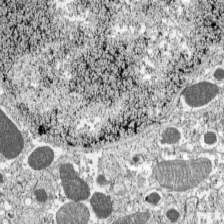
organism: C57BL Mouse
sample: Pancreatic islet